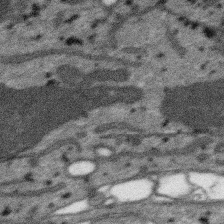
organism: Human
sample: Lung epithelial cells infected with SARS-CoV-2